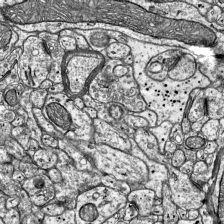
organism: Mouse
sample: Visual Cortex